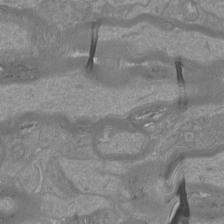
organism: Mouse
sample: Cortical neurons